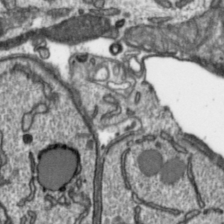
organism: Toxoplasma gondii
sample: Parasites in a vacuole inside a host cell